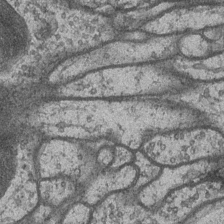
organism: Drosophila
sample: Optic medulla